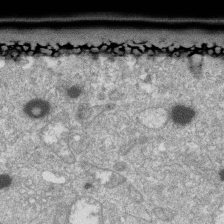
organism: Human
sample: HeLa cell HIV synapse